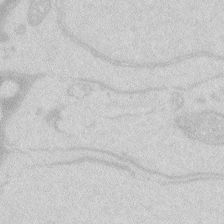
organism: Zebrafish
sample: Macrophage